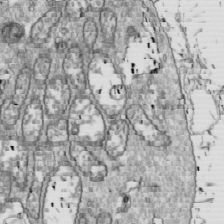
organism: Drosophila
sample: Cell division; meiosis; drosophila spermatocytes